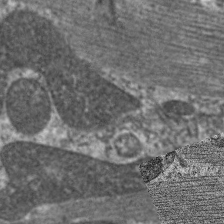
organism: C. elegans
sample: Pharynx